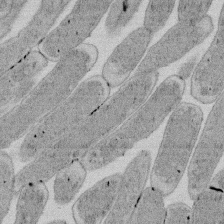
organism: E. coli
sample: Bacterial nucleoid